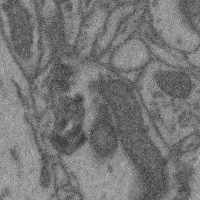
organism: Mouse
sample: Cerebral cortex